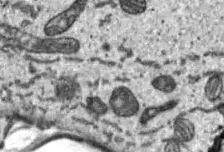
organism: Human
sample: HeLa cells